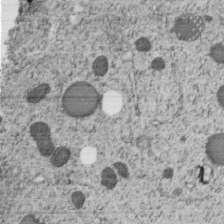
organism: C. elegans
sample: C. elegans embryo early stage